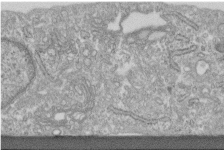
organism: Human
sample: Centriole in fibroblast cells